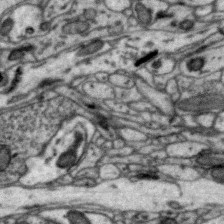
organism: Zebra finch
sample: Brain